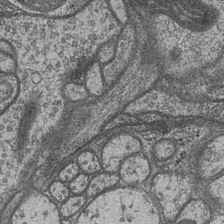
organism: Drosophila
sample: Optic medulla